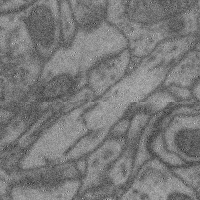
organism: Mouse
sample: Cerebral cortex